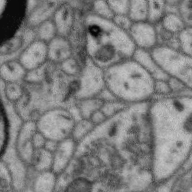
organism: Zebra finch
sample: Brain